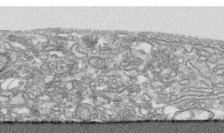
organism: Human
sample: CRL-1474